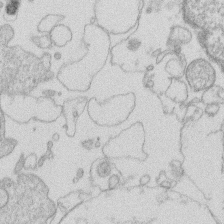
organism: Human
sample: Macrophage cells